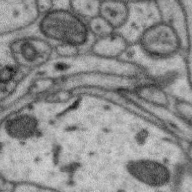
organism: Zebra finch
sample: Brain